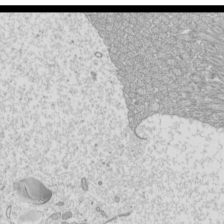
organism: Mouse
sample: Cilia; mouse epididymis